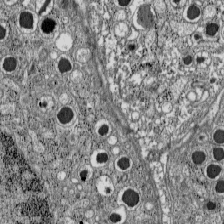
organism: C57BL Mouse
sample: Pancreatic islet